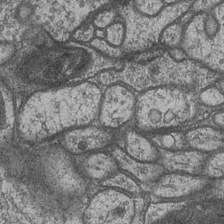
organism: Drosophila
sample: Optic medulla